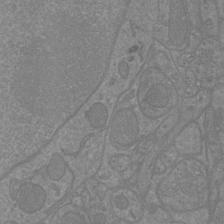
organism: Mouse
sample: Cortical neurons